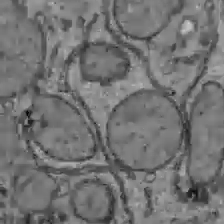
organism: C57BL Mouse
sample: Liver